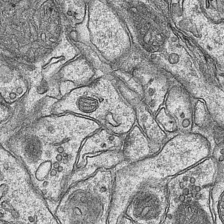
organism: Mouse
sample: CA1 Hippocampus